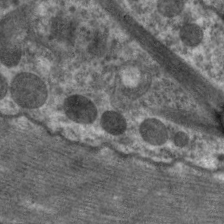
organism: C. elegans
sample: Pharynx